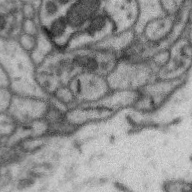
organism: Zebra finch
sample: Brain